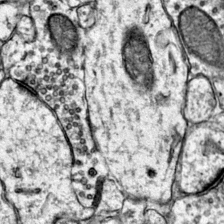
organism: Mouse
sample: Primary visual cortex